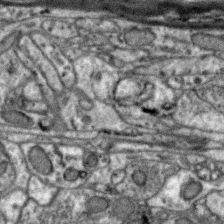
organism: Zebra finch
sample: Brain